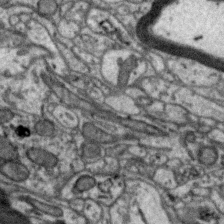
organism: Zebra finch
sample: Brain